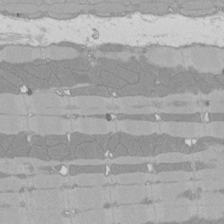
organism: Rat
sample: Left ventricle